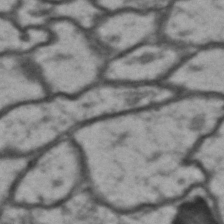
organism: Drosophila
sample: Brain